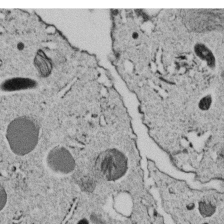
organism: C. elegans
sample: C. elegans embryo early stage